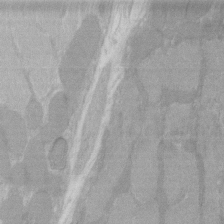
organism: C57BL Mouse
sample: Tibialis anterior muscle cell